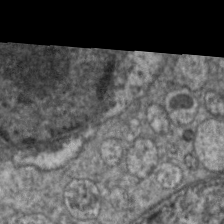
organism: C. elegans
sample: Pharynx